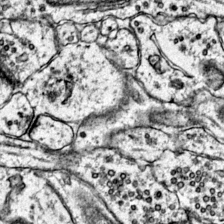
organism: Mouse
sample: Primary visual cortex